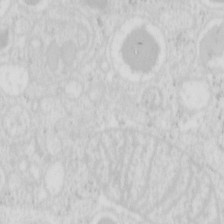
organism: Mouse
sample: Pancreas